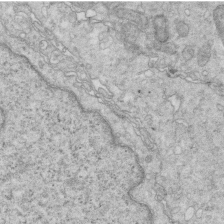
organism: Mouse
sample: Multiciliated cells